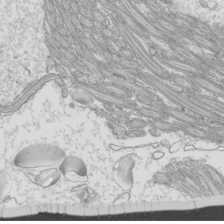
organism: Mouse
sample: Cilia; mouse epididymis